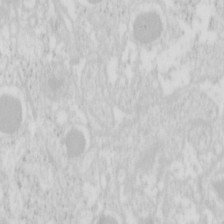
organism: Mouse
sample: Pancreas